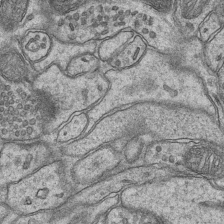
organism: Mouse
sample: CA1 Hippocampus